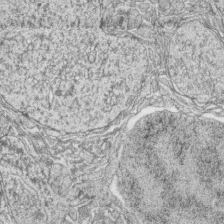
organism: Zebrafish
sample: synaptic ribbons in rod cells and cone cells